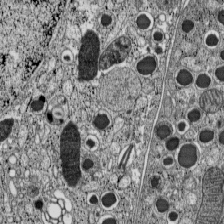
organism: C57BL Mouse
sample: Pancreatic islet